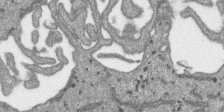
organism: Human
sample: Lung epithelial cells infected with SARS-CoV-2